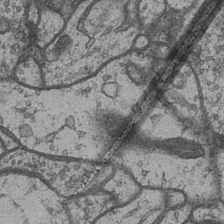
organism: Drosophila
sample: Optic medulla